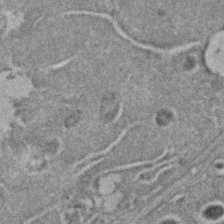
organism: C. elegans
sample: C. elegans embryo